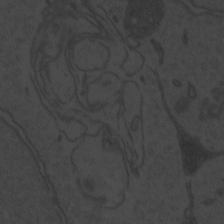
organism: Zebrafish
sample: Macrophage infected with Toxoplasma gondii